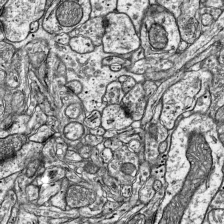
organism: Mouse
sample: Visual Cortex